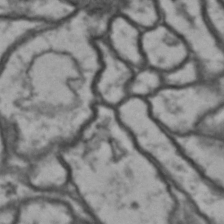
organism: Drosophila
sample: Brain